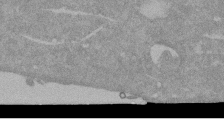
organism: Mouse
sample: ED-1 cell nuclei; centrioles